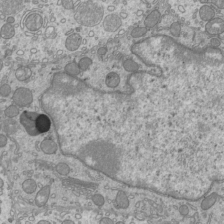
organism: Mouse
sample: Cilia; mouse epididymis